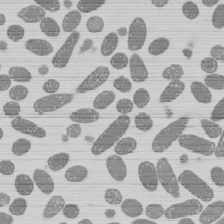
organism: E. coli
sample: Bacterial nucleoid